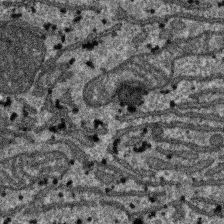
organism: Human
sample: Lung epithelial cells infected with SARS-CoV-2